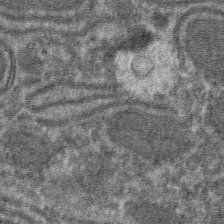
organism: Mouse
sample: Mouse hepatocytes